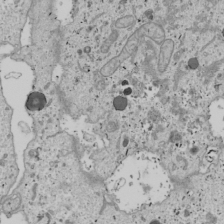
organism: Human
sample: Mitochondria in U2OS cells